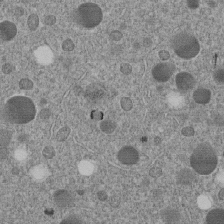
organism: C. elegans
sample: C. elegans embryo early stage